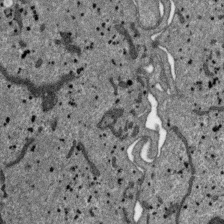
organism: Human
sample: Lung epithelial cells, uninfected (mock) control